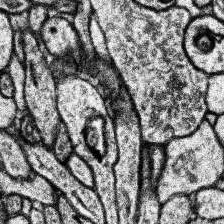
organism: Human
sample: Temporal Lobe